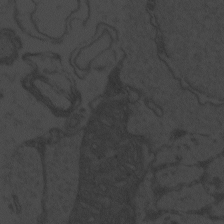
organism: Zebrafish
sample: Macrophage infected with Toxoplasma gondii